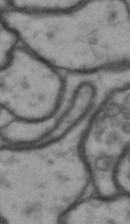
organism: Drosophila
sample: Brain